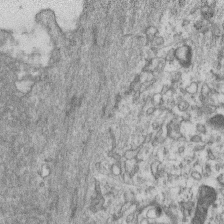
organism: Mouse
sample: Centriole in ependymal cells